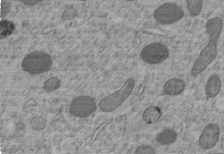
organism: C. elegans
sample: C. elegans embryo early stage